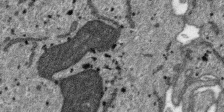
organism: Human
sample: Lung epithelial cells, uninfected (mock) control